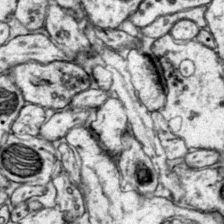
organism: Mouse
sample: Primary visual cortex